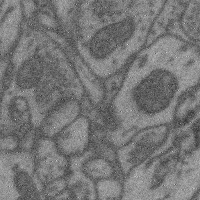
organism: Mouse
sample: Cerebral cortex